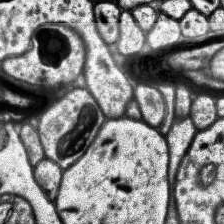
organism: Human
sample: Temporal Lobe